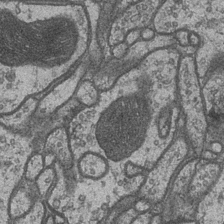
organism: Drosophila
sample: Optic medulla